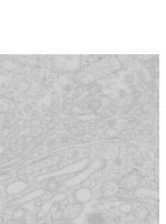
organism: Mouse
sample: Pancreas